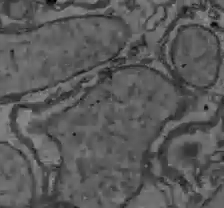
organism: C57BL Mouse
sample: Liver